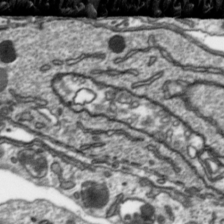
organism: Toxoplasma gondii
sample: Parasites in a vacuole inside a host cell